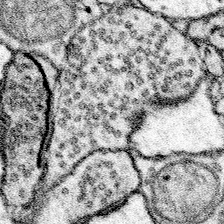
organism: Mouse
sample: Somatosensory cortex neuropil